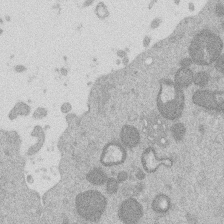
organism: Mouse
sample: Dividing mouse embryo 1 cell stage